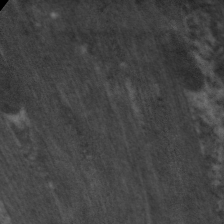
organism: C. elegans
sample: Pharynx